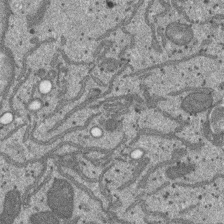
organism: Human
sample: Lung epithelial cells infected with SARS-CoV-2